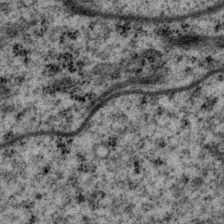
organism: P. pacificus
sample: Pharynx